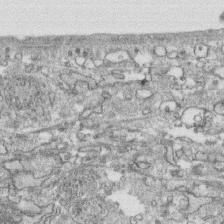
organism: Human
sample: CRL-1474